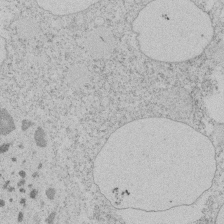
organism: Tetrahymena